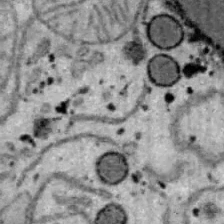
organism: Mouse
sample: Liver from an obese (ob/ob) mouse